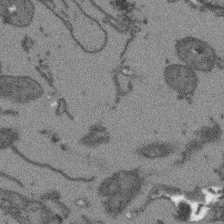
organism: Arabidopsis thaliana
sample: Root tip